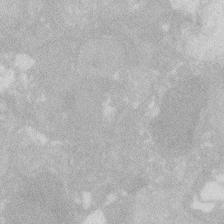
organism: Zebrafish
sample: Macrophage